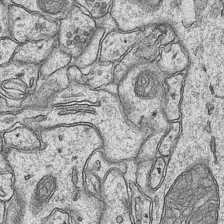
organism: Mouse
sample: CA1 Hippocampus